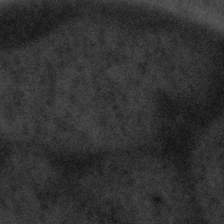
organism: Tuwongella immobilis